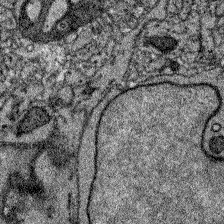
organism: Zebrafish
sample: Larval olfactory bulb